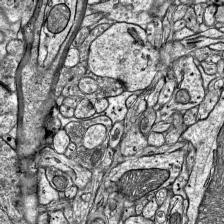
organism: Mouse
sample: Visual Cortex